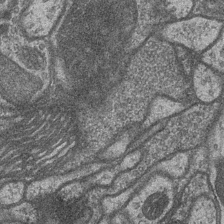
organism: Drosophila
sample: Optic medulla